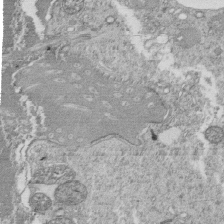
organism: Tetrahymena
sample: Cilia in tetrahymena